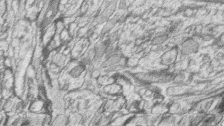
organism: Zebrafish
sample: synaptic ribbons in rod cells and cone cells